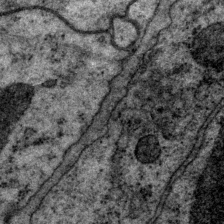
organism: P. pacificus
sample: Pharynx